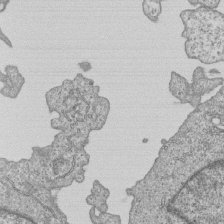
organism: Human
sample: MDA-MB-231 cells